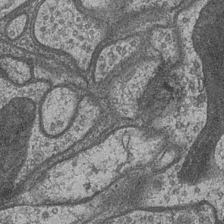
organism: Drosophila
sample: Optic medulla